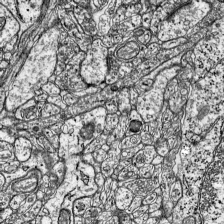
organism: Mouse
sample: Visual Cortex